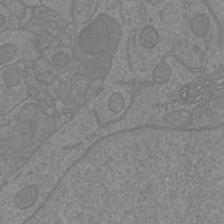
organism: Mouse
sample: Cortical neurons